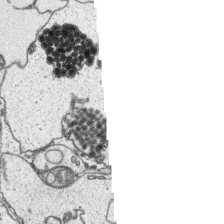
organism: Platynereis dumerilii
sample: Parapodia